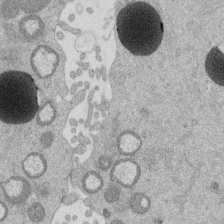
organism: Mouse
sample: Dividing mouse embryo 1 cell stage